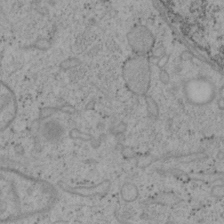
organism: Human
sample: HeLa cells